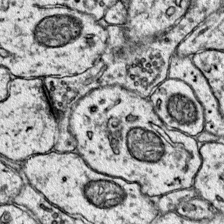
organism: Mouse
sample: Primary visual cortex